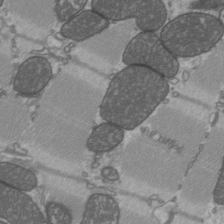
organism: C57BL Mouse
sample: Heart